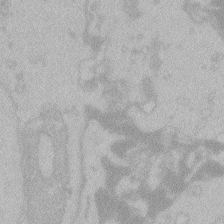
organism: Zebrafish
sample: Macrophage infected with Toxoplasma gondii